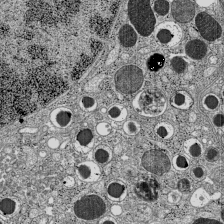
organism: C57BL Mouse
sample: Pancreatic islet